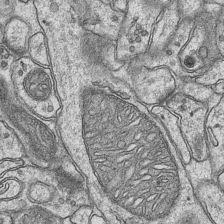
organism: Mouse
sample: CA1 Hippocampus